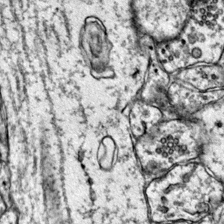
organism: Mouse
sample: Primary visual cortex